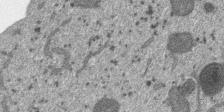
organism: Human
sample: Lung epithelial cells infected with SARS-CoV-2